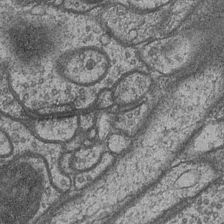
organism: Drosophila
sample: Optic medulla